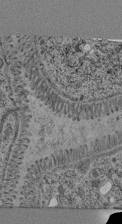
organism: C. elegans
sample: C. elegans pharynx